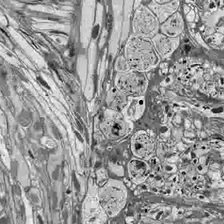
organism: Drosophila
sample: Optic lobe